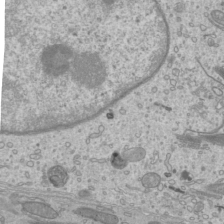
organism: Mouse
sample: Cilia; mouse epididymis